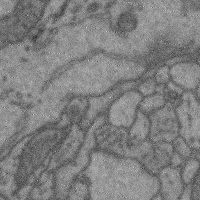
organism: Mouse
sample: Cerebral cortex